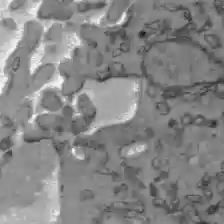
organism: C57BL Mouse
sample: Liver